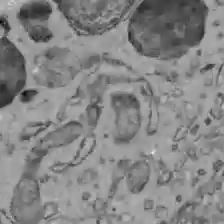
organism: C57BL Mouse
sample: Liver